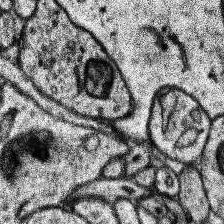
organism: Human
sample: Temporal Lobe